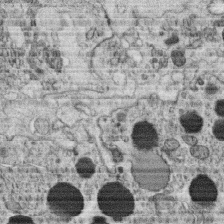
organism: C. elegans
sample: C. elegans oocyte; sperm cells